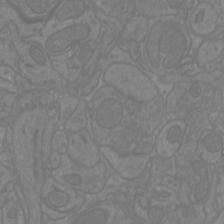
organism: Mouse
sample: Cortical neurons